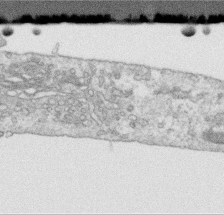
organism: Human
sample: Centriole in RPE cells